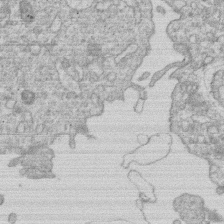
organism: Human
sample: Macrophage cells